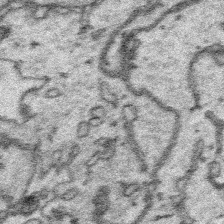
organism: Platynereis dumerilii